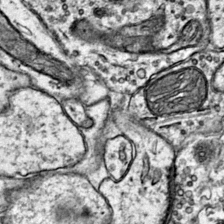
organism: Mouse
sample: Primary visual cortex